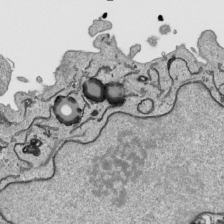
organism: Human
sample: Mitochondria in HCT116 cells